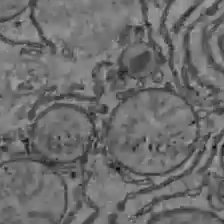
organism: C57BL Mouse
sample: Liver